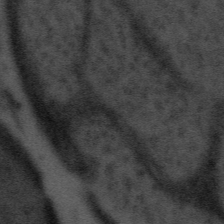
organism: Tuwongella immobilis